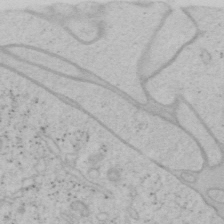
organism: Human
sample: HeLa cells